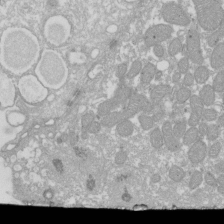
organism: Xenopus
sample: Cilia; centrioles in frog embryo cells